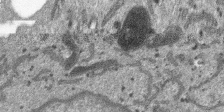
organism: Human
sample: Lung epithelial cells infected with SARS-CoV-2